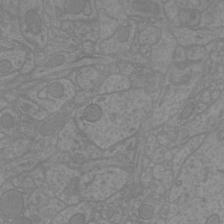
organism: Mouse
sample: Cortical neurons